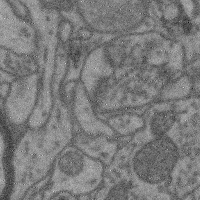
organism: Mouse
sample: Cerebral cortex